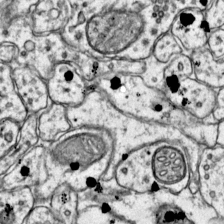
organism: Mouse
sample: Primary visual cortex